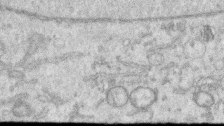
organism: Human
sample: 1205lu cells